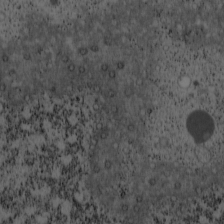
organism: African green monkey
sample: COS-7 cells